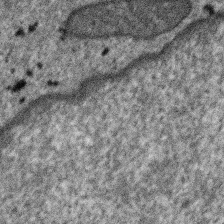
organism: Human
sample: Lung epithelial cells infected with SARS-CoV-2